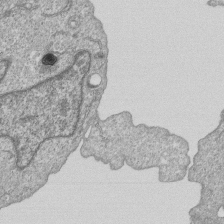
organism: Human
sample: MDA-MB-231 cells